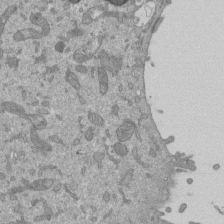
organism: Mouse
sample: ED-1 cell nuclei; centrioles